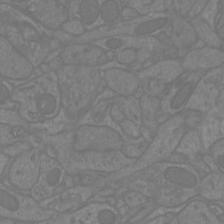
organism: Mouse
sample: Cortical neurons